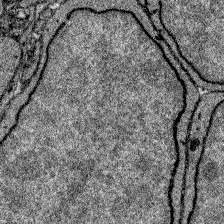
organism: Zebrafish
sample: Larval olfactory bulb